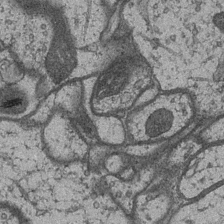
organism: Drosophila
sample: Optic medulla